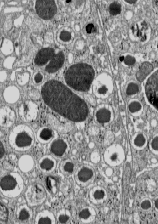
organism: C57BL Mouse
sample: Pancreatic islet